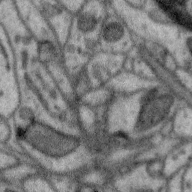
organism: Zebra finch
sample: Brain